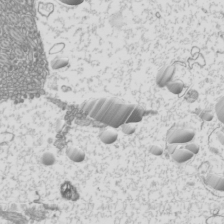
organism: Mouse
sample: Cilia; mouse epididymis